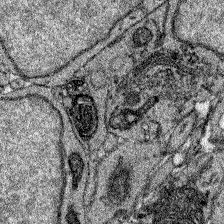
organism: Zebrafish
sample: Larval olfactory bulb